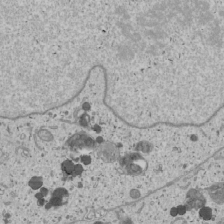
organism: Human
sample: Mitochondria in U2OS cells